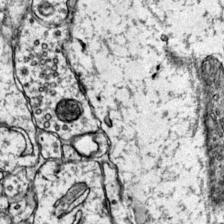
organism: Mouse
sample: Primary visual cortex